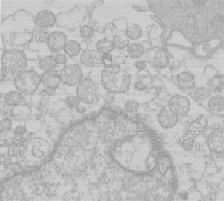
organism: Human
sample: Macrophage cells